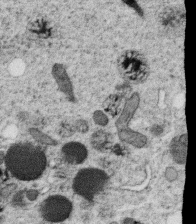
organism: C. elegans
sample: C. elegans oocyte; sperm cells